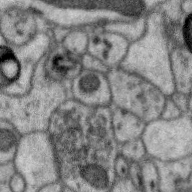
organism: Zebra finch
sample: Brain